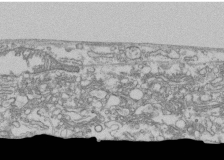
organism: Human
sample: Fibroblast cells